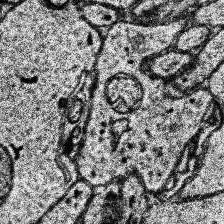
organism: Human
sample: Temporal Lobe